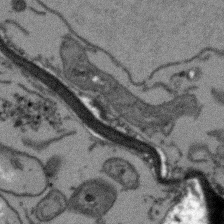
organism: Arabidopsis thaliana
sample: Root tip